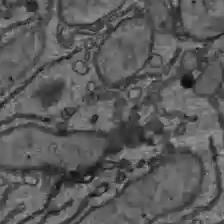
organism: C57BL Mouse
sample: Liver